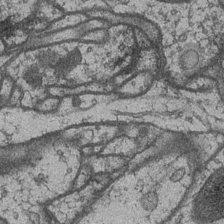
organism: Drosophila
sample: Optic medulla